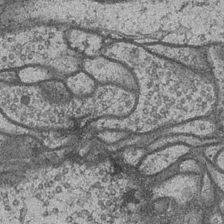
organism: Drosophila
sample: Optic medulla